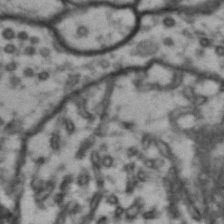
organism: Drosophila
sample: Brain